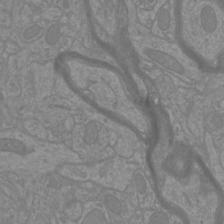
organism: Mouse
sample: Cortical neurons